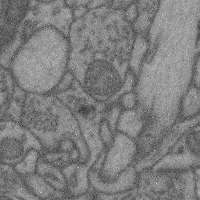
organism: Mouse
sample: Cerebral cortex